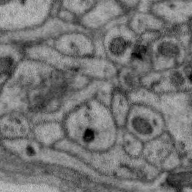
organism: Zebra finch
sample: Brain